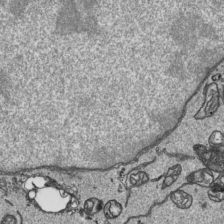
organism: Human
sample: Mitochondria in HCT116 cells